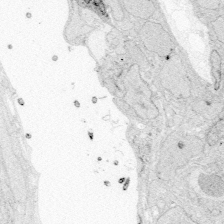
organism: Zebrafish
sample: Whole-Brain